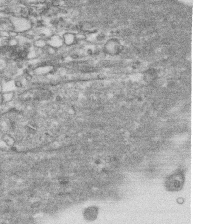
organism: Human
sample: CRL-1474